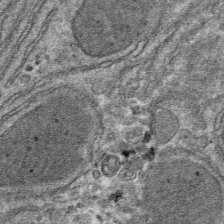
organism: Mouse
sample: Mouse hepatocytes